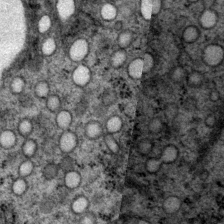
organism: P. pacificus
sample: Pharynx